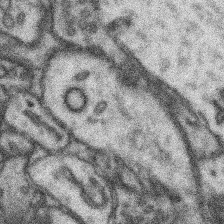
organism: Mouse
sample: Somatosensory cortex neuropil